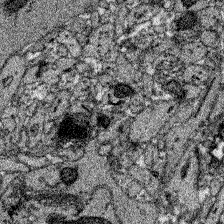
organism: Zebrafish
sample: Larval olfactory bulb